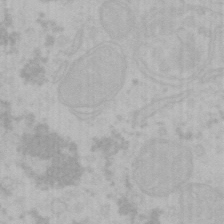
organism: Mouse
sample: Choroid plexus